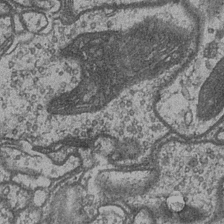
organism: Drosophila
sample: Optic medulla